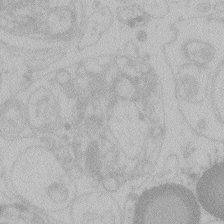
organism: Zebrafish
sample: Macrophage infected with Toxoplasma gondii